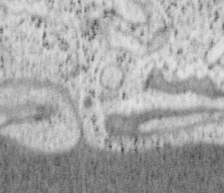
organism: Mouse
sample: OT-I killer T cells with ID8 ovarian cancer cells